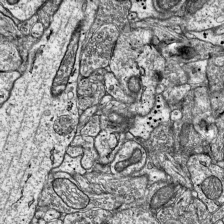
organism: Mouse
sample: Visual Cortex